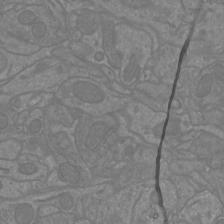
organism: Mouse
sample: Cortical neurons